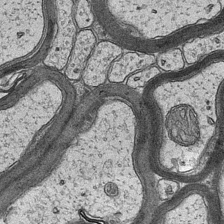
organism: Mouse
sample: CA1 Hippocampus